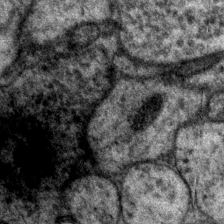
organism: P. pacificus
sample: Pharynx